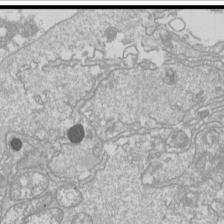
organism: Drosophila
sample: Cell division; meiosis; drosophila spermatocytes